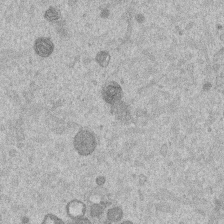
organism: Mouse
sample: Dividing mouse embryo 1 cell stage